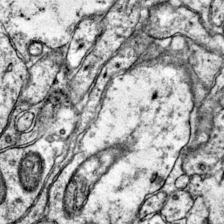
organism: Mouse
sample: Primary visual cortex